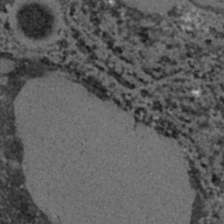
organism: C. elegans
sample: C. elegans embryo